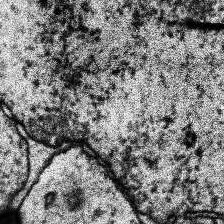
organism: Human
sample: Temporal Lobe